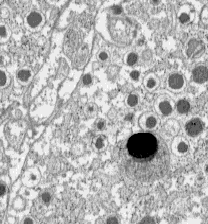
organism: C57BL Mouse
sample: Pancreatic islet